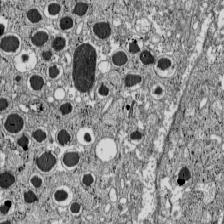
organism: C57BL Mouse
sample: Pancreatic islet